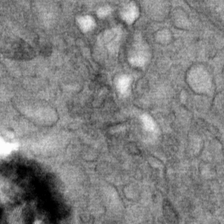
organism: Mouse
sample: Mouse Salivary gland